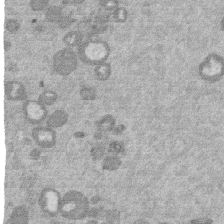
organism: Mouse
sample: Dividing mouse embryo 1 cell stage